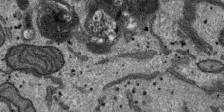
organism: Human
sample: Lung epithelial cells, uninfected (mock) control